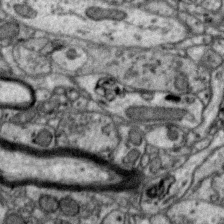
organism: Zebra finch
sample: Brain